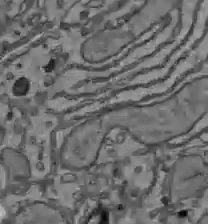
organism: C57BL Mouse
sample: Liver